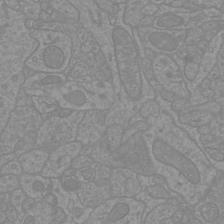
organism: Mouse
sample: Cortical neurons